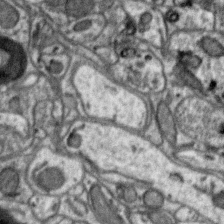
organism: Zebra finch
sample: Brain